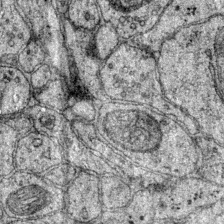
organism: Mouse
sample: Primary visual cortex